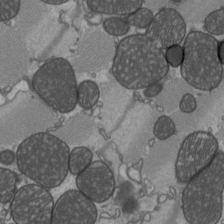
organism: C57BL Mouse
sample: Heart